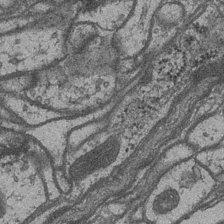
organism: Drosophila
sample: Optic medulla